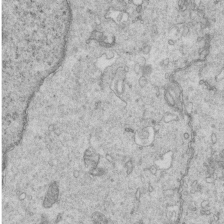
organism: Mouse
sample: Multiciliated cells